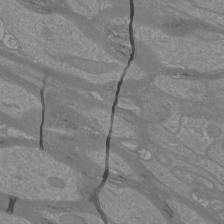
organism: Mouse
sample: Cortical neurons